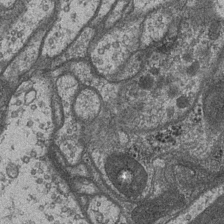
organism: Drosophila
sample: Optic medulla